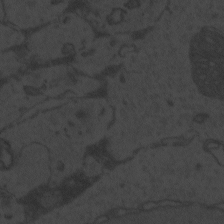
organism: Zebrafish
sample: Macrophage infected with Toxoplasma gondii